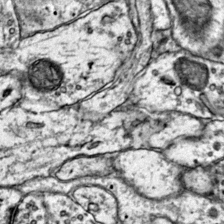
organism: Mouse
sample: Primary visual cortex